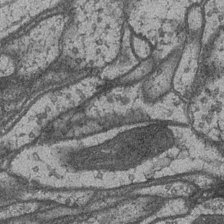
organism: Drosophila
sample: Optic medulla